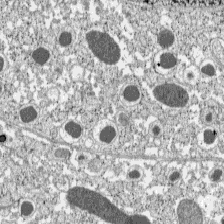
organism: C57BL Mouse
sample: Pancreatic islet